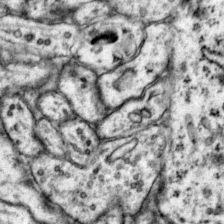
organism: Mouse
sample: Primary visual cortex